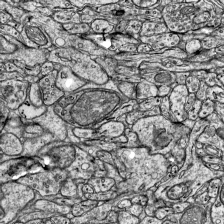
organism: Mouse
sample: Visual Cortex